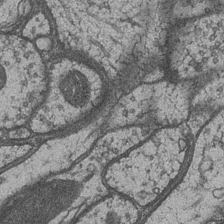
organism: Drosophila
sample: Optic medulla